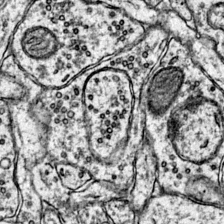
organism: Mouse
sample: Primary visual cortex